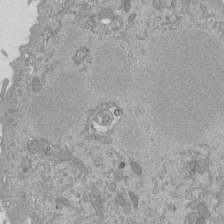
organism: Mouse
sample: ED-1 cell nuclei; centrioles